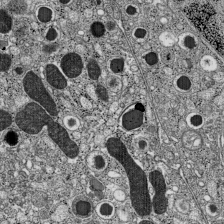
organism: C57BL Mouse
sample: Pancreatic islet